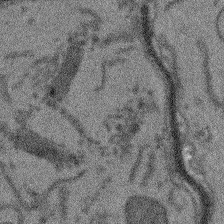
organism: Arabidopsis thaliana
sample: Root tip